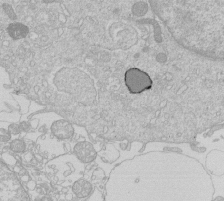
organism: Human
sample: Macrophage cells